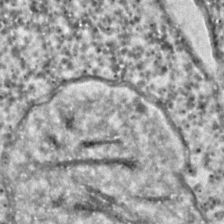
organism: C. elegans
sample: C. elegans embryo